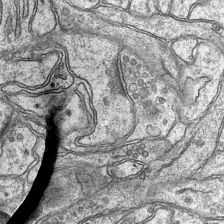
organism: Mouse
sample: CA1 Hippocampus